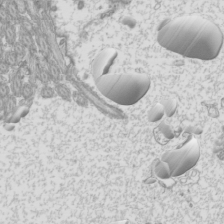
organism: Mouse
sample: Cilia; mouse epididymis